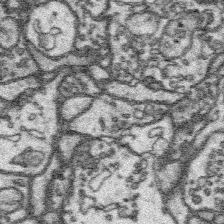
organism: Platynereis dumerilii